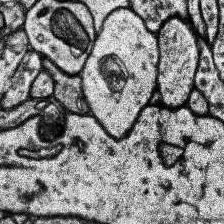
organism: Human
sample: Temporal Lobe